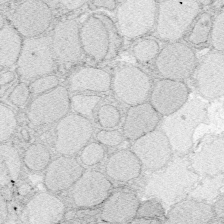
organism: Zebrafish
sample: Whole-Brain